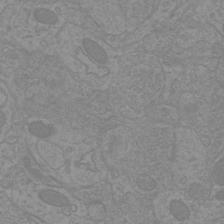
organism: Mouse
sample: Cortical neurons